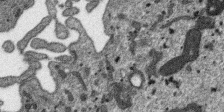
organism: Human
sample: Lung epithelial cells infected with SARS-CoV-2